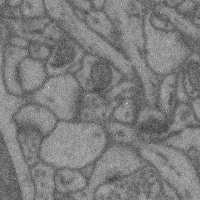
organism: Mouse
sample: Cerebral cortex